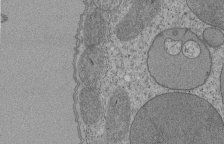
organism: Tetrahymena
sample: Cilia in tetrahymena